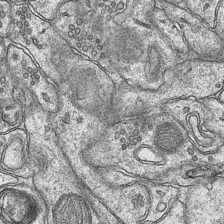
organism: Mouse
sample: CA1 Hippocampus